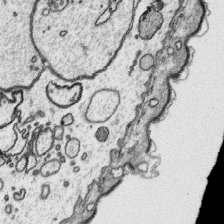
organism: Platynereis dumerilii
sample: Parapodia